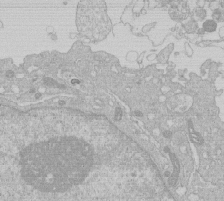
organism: Human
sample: Macrophage cells